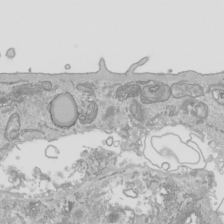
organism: Human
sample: Mitochondria in HCT116 cells